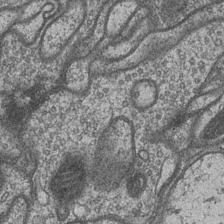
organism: Drosophila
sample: Optic medulla